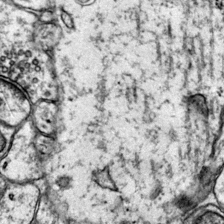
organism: Mouse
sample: Primary visual cortex